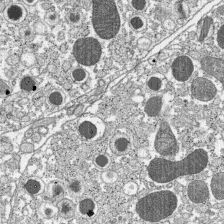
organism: C57BL Mouse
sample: Pancreatic islet